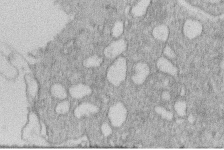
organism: Human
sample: Macrophage cells